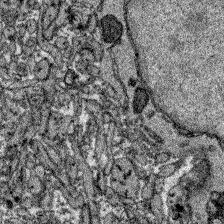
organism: Zebrafish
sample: Larval olfactory bulb